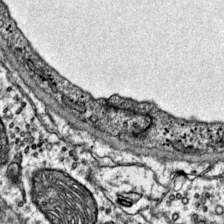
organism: Mouse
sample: Primary visual cortex